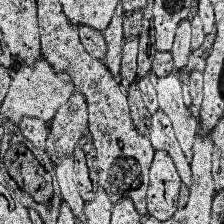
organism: Human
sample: Temporal Lobe